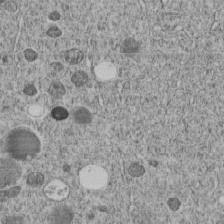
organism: C. elegans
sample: C. elegans embryo early stage